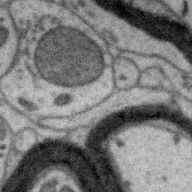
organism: Zebra finch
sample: Brain